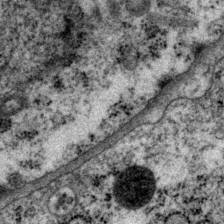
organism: P. pacificus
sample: Pharynx